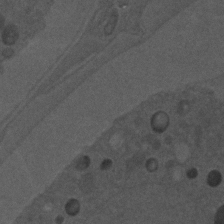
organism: C. elegans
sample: C. elegans embryo